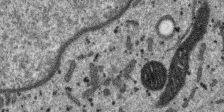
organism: Human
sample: Lung epithelial cells infected with SARS-CoV-2